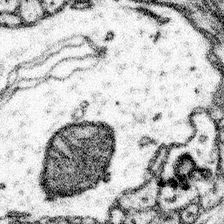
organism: Mouse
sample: Somatosensory cortex neuropil